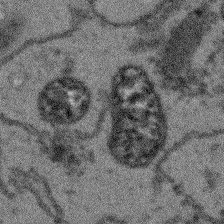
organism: Arabidopsis thaliana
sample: Root tip